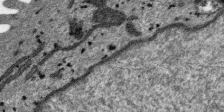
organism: Human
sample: Lung epithelial cells, uninfected (mock) control